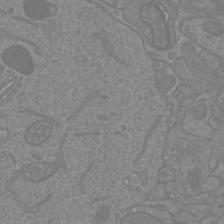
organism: Mouse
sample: Cortical neurons